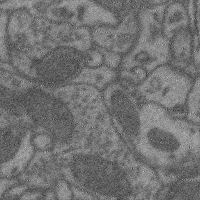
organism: Mouse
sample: Cerebral cortex